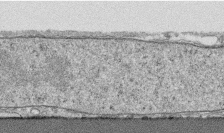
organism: Human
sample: CRL-1474